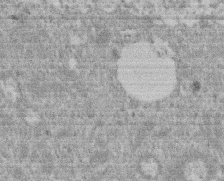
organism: Mouse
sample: Dividing mouse embryo 1 cell stage